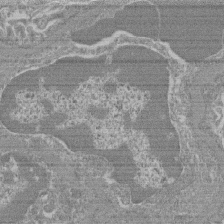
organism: Mouse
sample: Glomerulus